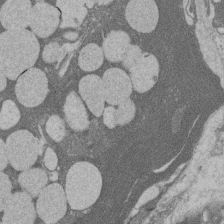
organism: Rat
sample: Salivary granule